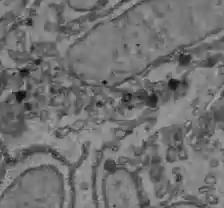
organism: C57BL Mouse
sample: Liver